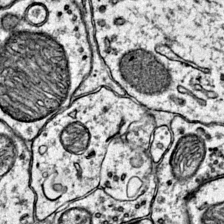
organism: Mouse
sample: Primary visual cortex